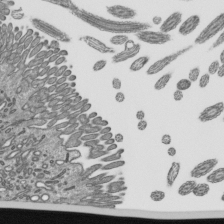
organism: Mouse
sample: Mouse epididymis efferent ductule cilia